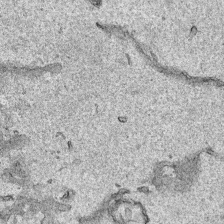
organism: Human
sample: Mitochondria in HCT116 cells